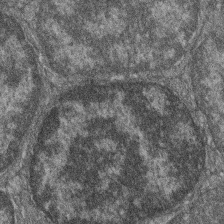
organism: Zebrafish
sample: Cilia; retinal pigment epithelium